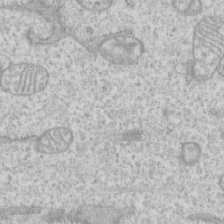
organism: Human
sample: CRL-1474